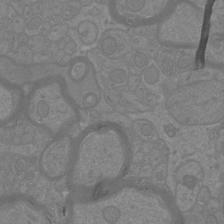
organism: Mouse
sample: Cortical neurons